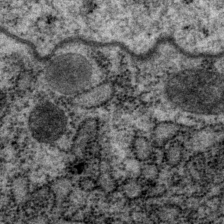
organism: P. pacificus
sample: Pharynx